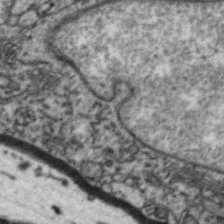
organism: Zebra finch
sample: Brain